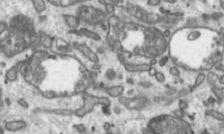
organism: Toxoplasma gondii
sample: Parasites in a vacuole inside a host cell